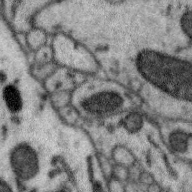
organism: Zebra finch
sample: Brain